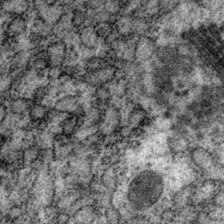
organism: P. pacificus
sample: Pharynx